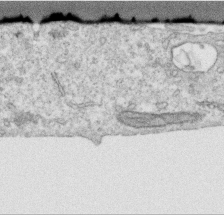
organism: Human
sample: Centriole in RPE cells